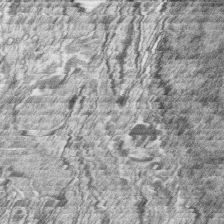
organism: Zebrafish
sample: synaptic ribbons in rod cells and cone cells